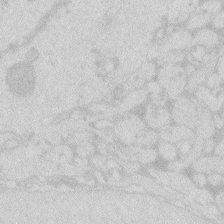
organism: Zebrafish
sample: Macrophage